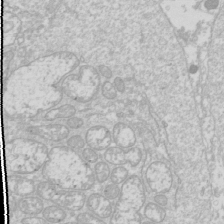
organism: Drosophila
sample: Cell division; meiosis; drosophila spermatocytes